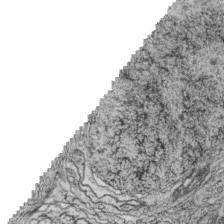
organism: Zebrafish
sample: synaptic ribbons in rod cells and cone cells